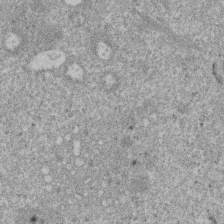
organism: Mouse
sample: Dividing mouse embryo 1 cell stage